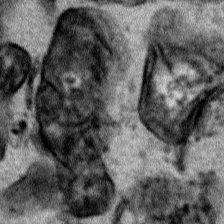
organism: Human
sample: Mitochondria in HCT116 cells